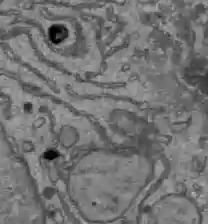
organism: C57BL Mouse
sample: Liver